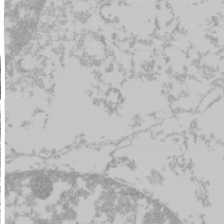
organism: Mouse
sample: Cancer cell death in ED-1 cells